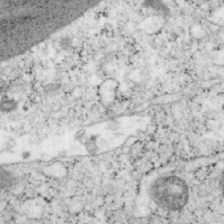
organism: Mouse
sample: OT-I killer T cells with ID8 ovarian cancer cells